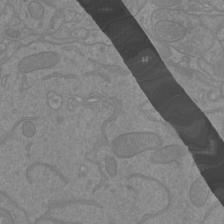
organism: Mouse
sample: Cortical neurons